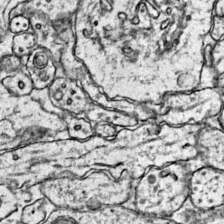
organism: Mouse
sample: Primary visual cortex